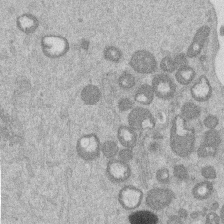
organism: Mouse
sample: Dividing mouse embryo 1 cell stage